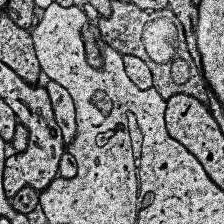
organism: Human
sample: Temporal Lobe